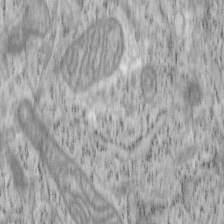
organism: Human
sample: HeLa cells